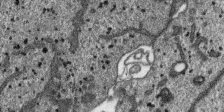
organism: Human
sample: Lung epithelial cells infected with SARS-CoV-2